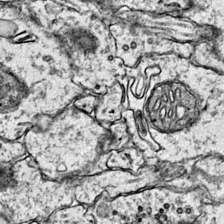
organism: Mouse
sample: Primary visual cortex